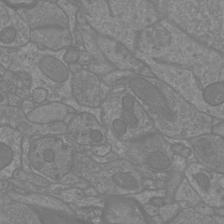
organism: Mouse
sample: Cortical neurons